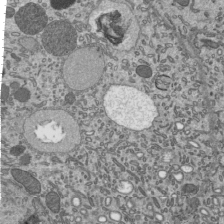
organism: Mouse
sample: Mouse epididymis efferent ductule cilia